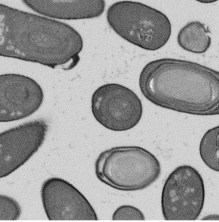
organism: B. subtilis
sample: Bacterial spore